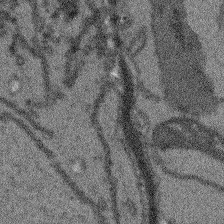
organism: Arabidopsis thaliana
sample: Root tip